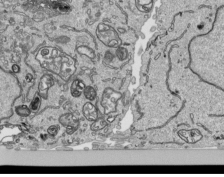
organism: Human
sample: Mitochondria in HCT116 cells